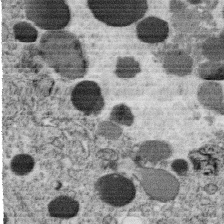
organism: C. elegans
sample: C. elegans oocyte; sperm cells